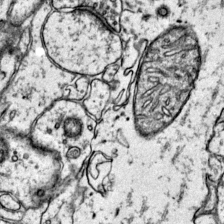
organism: Mouse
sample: Primary visual cortex